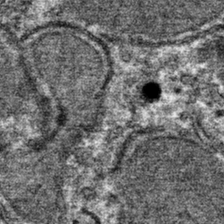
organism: Mouse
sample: Mouse hepatocytes